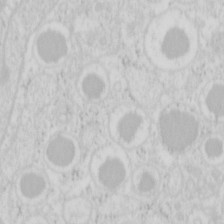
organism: Mouse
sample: Pancreas